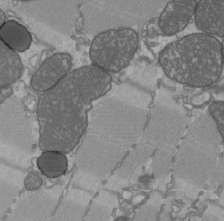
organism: C57BL Mouse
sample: Heart